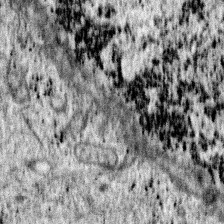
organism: Human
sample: HeLa cells